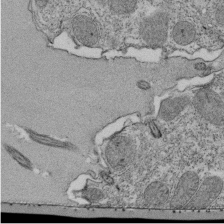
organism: Tetrahymena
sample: Cilia in tetrahymena